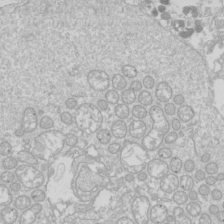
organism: Drosophila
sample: Cell division; meiosis; drosophila spermatocytes